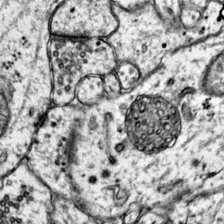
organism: Mouse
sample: Primary visual cortex